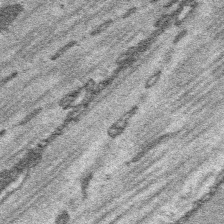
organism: Platynereis dumerilii